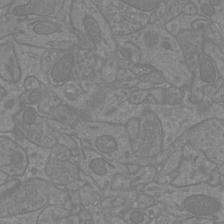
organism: Mouse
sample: Cortical neurons